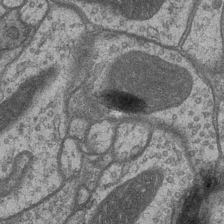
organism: Drosophila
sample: Optic medulla